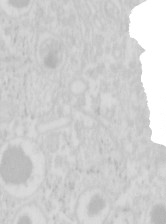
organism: Mouse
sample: Pancreas